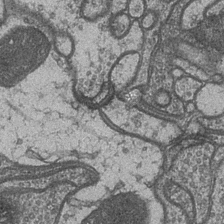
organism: Drosophila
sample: Optic medulla